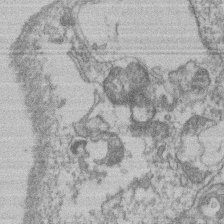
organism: Mouse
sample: T cell stromal cell synapse